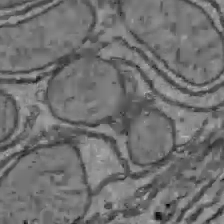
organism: C57BL Mouse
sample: Liver